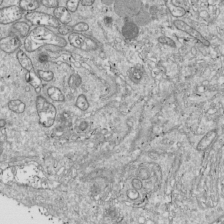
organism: Drosophila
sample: Cell division; meiosis; drosophila spermatocytes